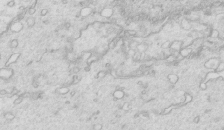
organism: Mouse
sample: Multiciliated cells